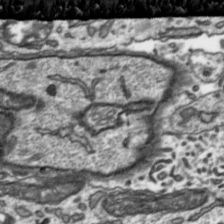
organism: Toxoplasma gondii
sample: Parasites in a vacuole inside a host cell